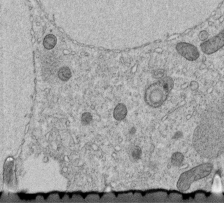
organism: C. elegans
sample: C. elegans embryo early stage